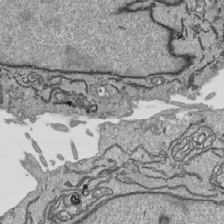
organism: Human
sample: Mitochondria in HCT116 cells